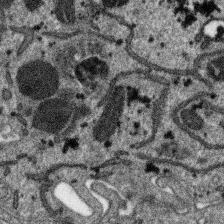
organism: Human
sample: Lung epithelial cells infected with SARS-CoV-2